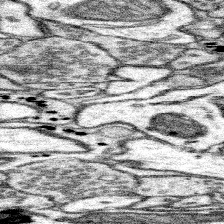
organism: Mouse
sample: Somatosensory cortex neuropil